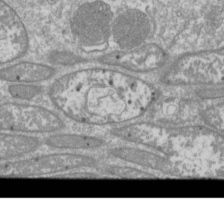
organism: Drosophila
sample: Cell division; meiosis; drosophila spermatocytes